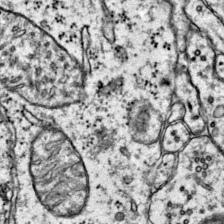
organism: Mouse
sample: Primary visual cortex